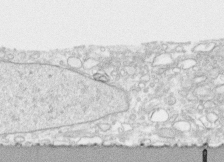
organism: Human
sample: CRL-1474